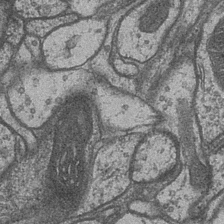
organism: Drosophila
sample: Optic medulla